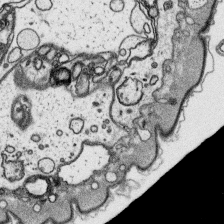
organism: Platynereis dumerilii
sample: Parapodia